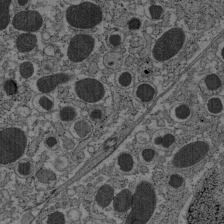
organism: C57BL Mouse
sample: Pancreatic islet